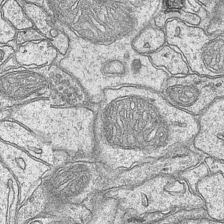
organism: Mouse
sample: CA1 Hippocampus